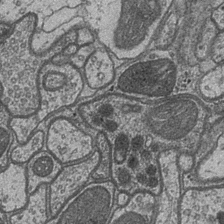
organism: Drosophila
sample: Optic medulla